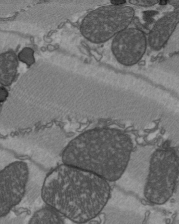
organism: C57BL Mouse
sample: Heart